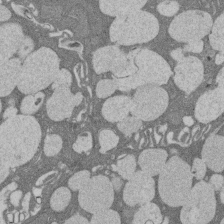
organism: Rat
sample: Salivary granule